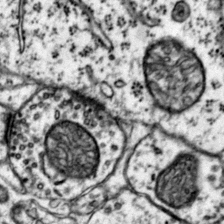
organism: Mouse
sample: Primary visual cortex